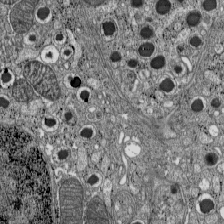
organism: C57BL Mouse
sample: Pancreatic islet